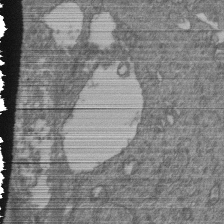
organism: Human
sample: Retinal organoid Rod and Cone cells